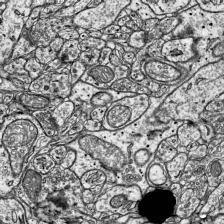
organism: Mouse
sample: Visual Cortex